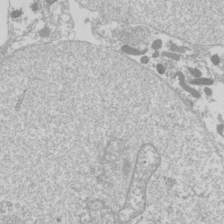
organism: Drosophila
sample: Cell division; meiosis; drosophila spermatocytes